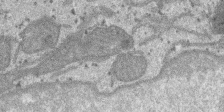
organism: Human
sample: Lung epithelial cells infected with SARS-CoV-2